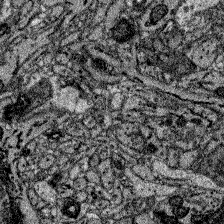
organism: Zebrafish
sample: Larval olfactory bulb